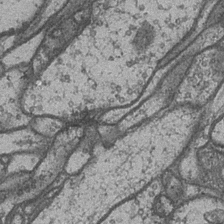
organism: Drosophila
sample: Optic medulla